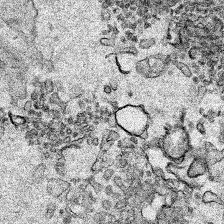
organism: Human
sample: Mitochondria in HCT116 cells